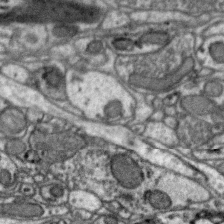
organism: Zebra finch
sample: Brain